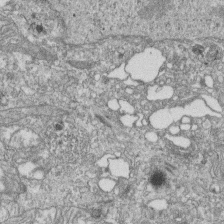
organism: Human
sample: HeLa cell HIV synapse